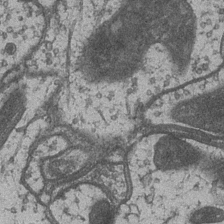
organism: Drosophila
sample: Optic medulla